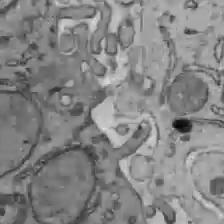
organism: C57BL Mouse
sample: Liver